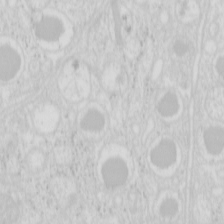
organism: Mouse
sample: Pancreas